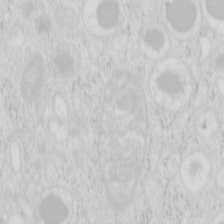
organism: Mouse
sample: Pancreas